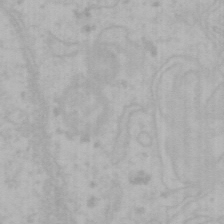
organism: Mouse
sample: Choroid plexus